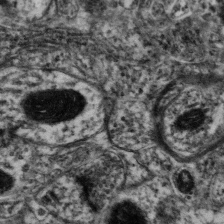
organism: Mouse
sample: Neocortex